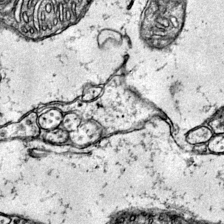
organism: Mouse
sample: Primary visual cortex